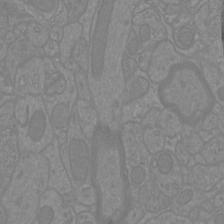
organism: Mouse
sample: Cortical neurons